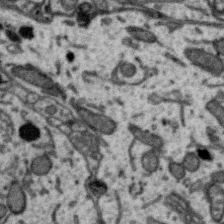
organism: Zebra finch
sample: Brain